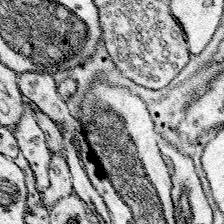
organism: Mouse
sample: Somatosensory cortex neuropil